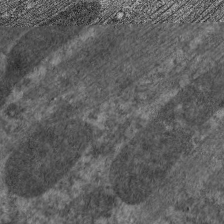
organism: C. elegans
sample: Pharynx